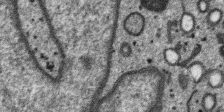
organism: Human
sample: Lung epithelial cells infected with SARS-CoV-2